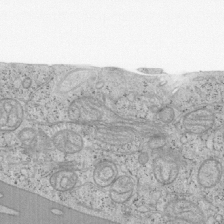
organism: Human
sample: HeLa cells